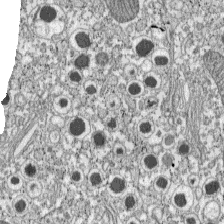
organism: C57BL Mouse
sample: Pancreatic islet